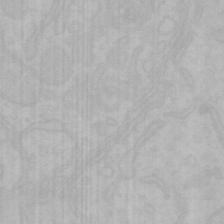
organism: Mouse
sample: Choroid plexus